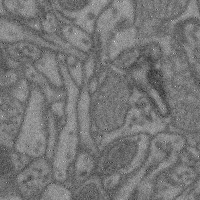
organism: Mouse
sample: Cerebral cortex